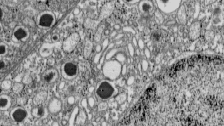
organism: C57BL Mouse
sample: Pancreatic islet